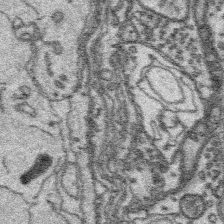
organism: Platynereis dumerilii